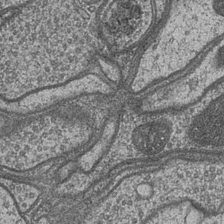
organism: Drosophila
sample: Optic medulla